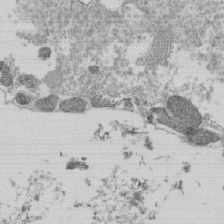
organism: Tetrahymena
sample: Cilia in tetrahymena